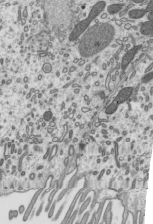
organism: Mouse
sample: Mouse epididymis efferent ductule cilia